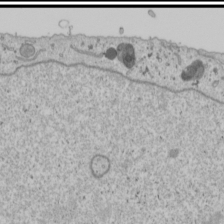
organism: Human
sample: Mitochondria in U2OS cells